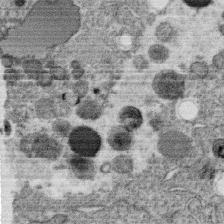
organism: C. elegans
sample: C. elegans oocyte; sperm cells